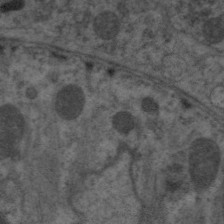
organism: C. elegans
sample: Pharynx